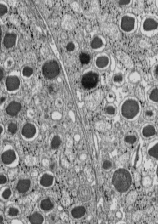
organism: C57BL Mouse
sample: Pancreatic islet